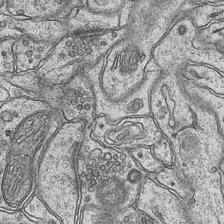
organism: Mouse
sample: CA1 Hippocampus